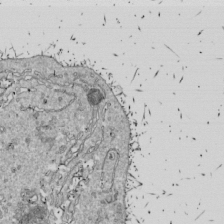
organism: Drosophila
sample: Cell division; meiosis; drosophila spermatocytes